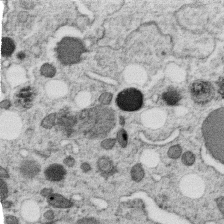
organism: C. elegans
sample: C. elegans oocyte; sperm cells